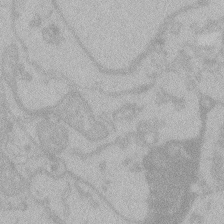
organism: Zebrafish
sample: Macrophage infected with Toxoplasma gondii